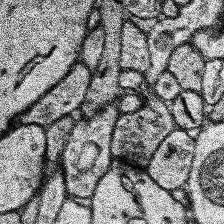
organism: Human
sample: Temporal Lobe